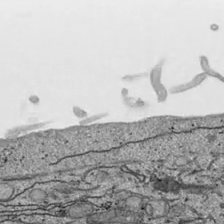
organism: Human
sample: HeLa cells